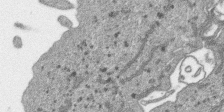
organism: Human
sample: Lung epithelial cells infected with SARS-CoV-2